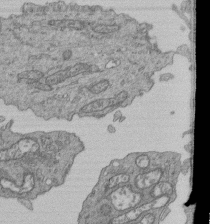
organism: Human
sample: Retinal organoid Rod and Cone cells